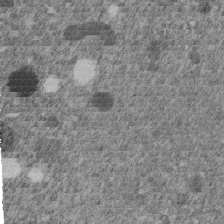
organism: C. elegans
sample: C. elegans embryo early stage